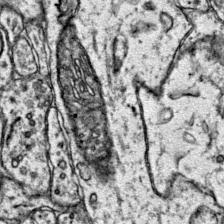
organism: Mouse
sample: Primary visual cortex